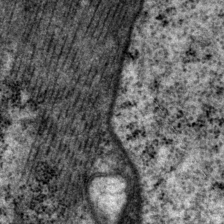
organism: P. pacificus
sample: Pharynx